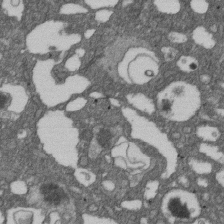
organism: Drosophila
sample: Nephrocyte